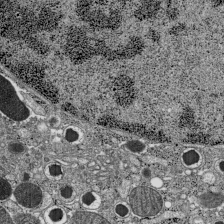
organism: C57BL Mouse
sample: Pancreatic islet